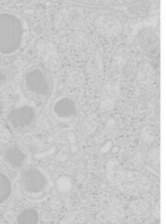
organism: Mouse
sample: Pancreas